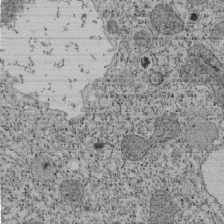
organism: Tetrahymena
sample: Cilia in tetrahymena